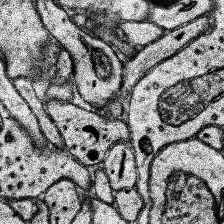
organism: Human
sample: Temporal Lobe